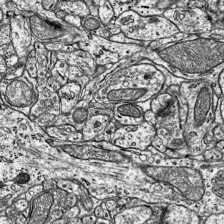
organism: Mouse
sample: Visual Cortex